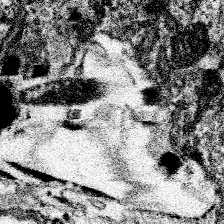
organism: Spongilla lacustris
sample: Neuroid cell